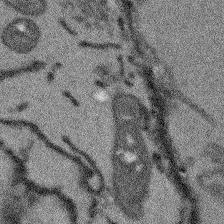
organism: Arabidopsis thaliana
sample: Root tip